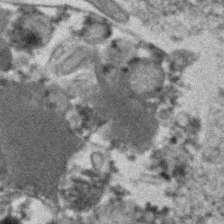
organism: Human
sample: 1205lu cells